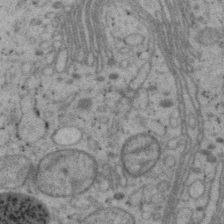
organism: Human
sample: HeLa cells